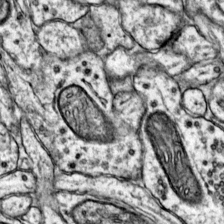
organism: Mouse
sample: Primary visual cortex